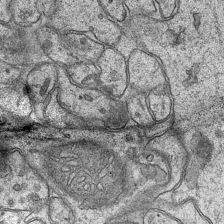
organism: Mouse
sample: CA1 Hippocampus